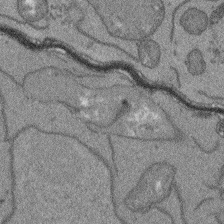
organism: Arabidopsis thaliana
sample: Root tip